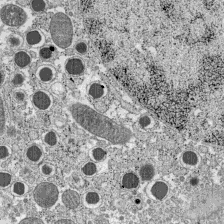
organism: C57BL Mouse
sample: Pancreatic islet